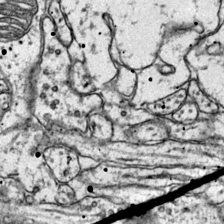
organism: Mouse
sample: Primary visual cortex